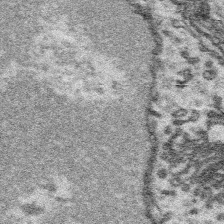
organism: Platynereis dumerilii